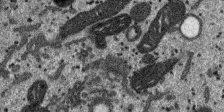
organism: Human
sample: Lung epithelial cells infected with SARS-CoV-2